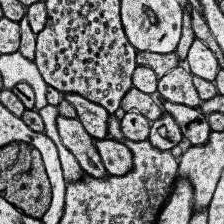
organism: Human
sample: Temporal Lobe